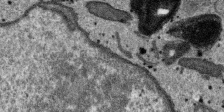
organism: Human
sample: Lung epithelial cells, uninfected (mock) control